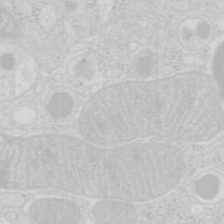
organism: Mouse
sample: Pancreas